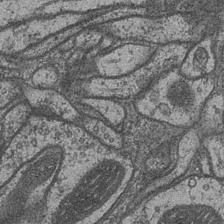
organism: Drosophila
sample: Optic medulla